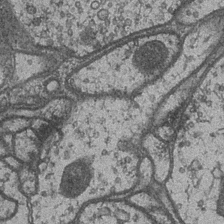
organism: Drosophila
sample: Optic medulla